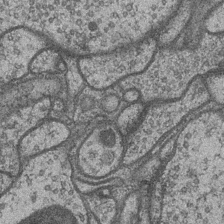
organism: Drosophila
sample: Optic medulla